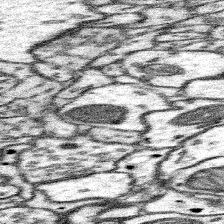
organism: Mouse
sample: Somatosensory cortex neuropil